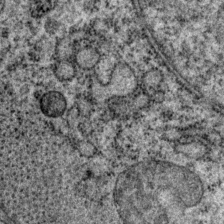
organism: P. pacificus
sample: Pharynx